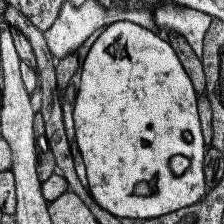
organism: Human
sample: Temporal Lobe